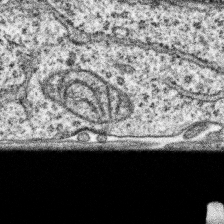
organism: Human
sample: HeLa cells